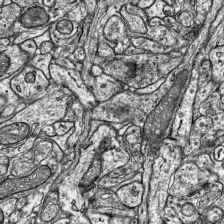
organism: Mouse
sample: Visual Cortex